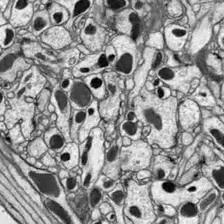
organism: Drosophila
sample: Optic lobe